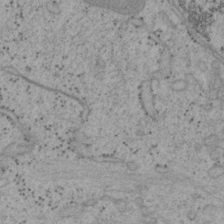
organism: Human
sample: HeLa cells